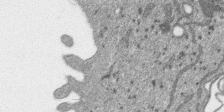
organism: Human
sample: Lung epithelial cells infected with SARS-CoV-2